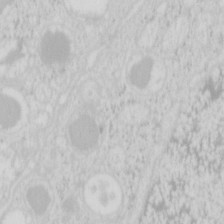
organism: Mouse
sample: Pancreas